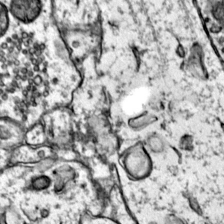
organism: Mouse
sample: Primary visual cortex